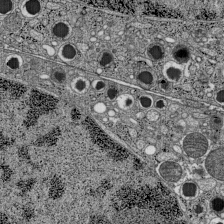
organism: C57BL Mouse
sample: Pancreatic islet